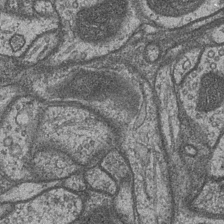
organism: Drosophila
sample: Optic medulla